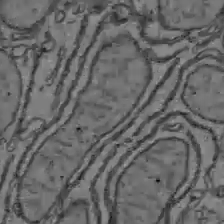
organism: C57BL Mouse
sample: Liver